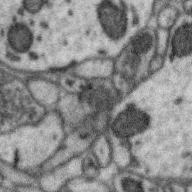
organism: Zebra finch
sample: Brain